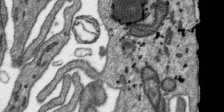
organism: Human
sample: Lung epithelial cells, uninfected (mock) control